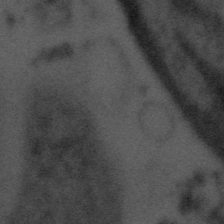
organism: Tuwongella immobilis